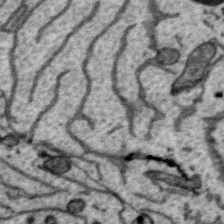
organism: Zebra finch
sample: Brain